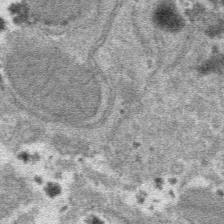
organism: Mouse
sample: Mouse hepatocytes